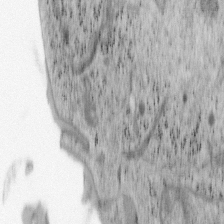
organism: Human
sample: HeLa cells